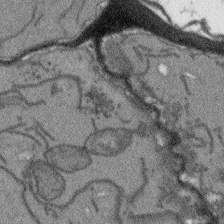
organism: Arabidopsis thaliana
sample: Root tip